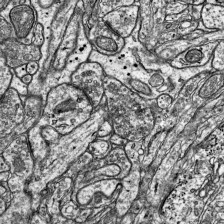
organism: Mouse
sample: Visual Cortex